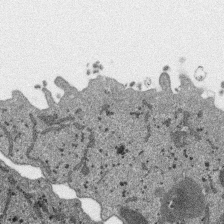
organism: Human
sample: Lung epithelial cells infected with SARS-CoV-2